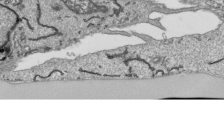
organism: Human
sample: Mitochondria in HCT116 cells